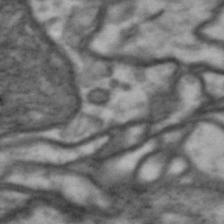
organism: Drosophila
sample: Brain